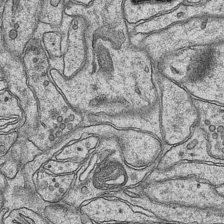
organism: Mouse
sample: CA1 Hippocampus